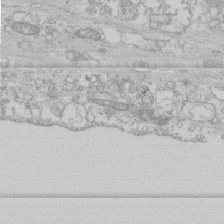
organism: Human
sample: CRL-1474